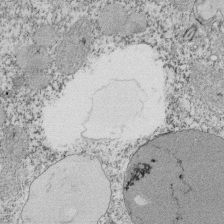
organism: Tetrahymena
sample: Cilia in tetrahymena